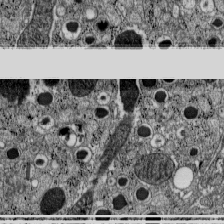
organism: C57BL Mouse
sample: Pancreatic islet